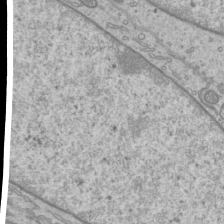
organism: Mouse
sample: Cilia; mouse epididymis